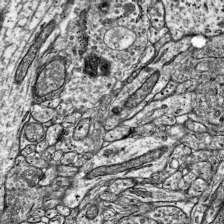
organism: Mouse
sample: Visual Cortex